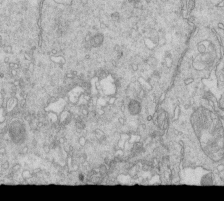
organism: Mouse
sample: Multiciliated cells